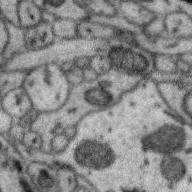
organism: Zebra finch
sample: Brain